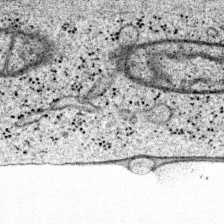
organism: Human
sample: HeLa cells